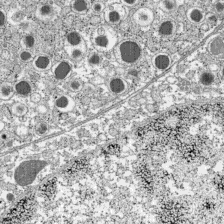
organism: C57BL Mouse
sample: Pancreatic islet